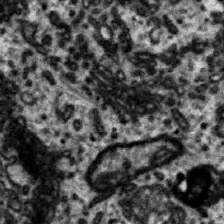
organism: Human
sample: HeLa cells